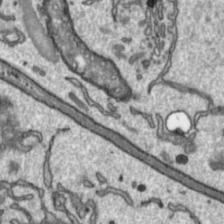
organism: Toxoplasma gondii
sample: Parasites in a vacuole inside a host cell